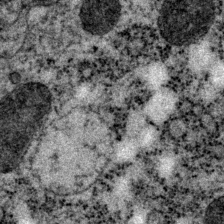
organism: P. pacificus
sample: Pharynx